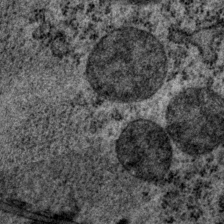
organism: P. pacificus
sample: Pharynx